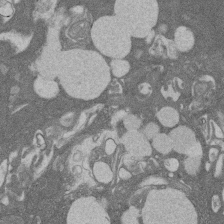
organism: Rat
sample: Salivary granule